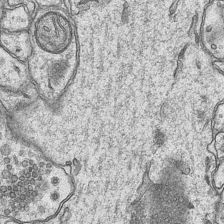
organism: Mouse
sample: CA1 Hippocampus